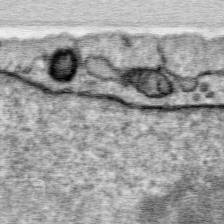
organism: Human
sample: HeLa cells